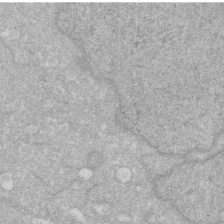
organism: Human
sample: HIV infected U937 cells